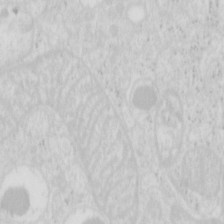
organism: Mouse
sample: Pancreas